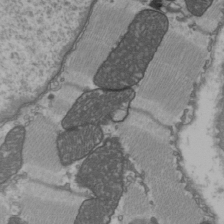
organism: C57BL Mouse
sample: Heart